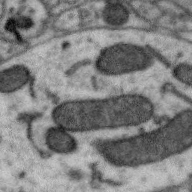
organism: Zebra finch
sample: Brain